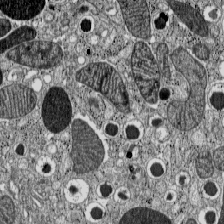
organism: C57BL Mouse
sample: Pancreatic islet